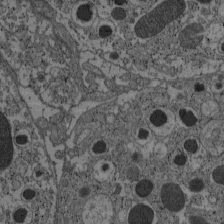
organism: C57BL Mouse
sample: Pancreatic islet